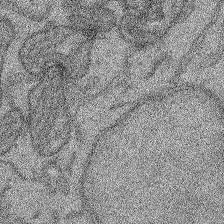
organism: Human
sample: HeLa cells